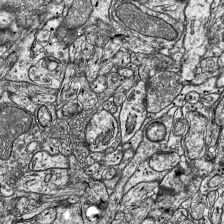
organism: Mouse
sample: Visual Cortex